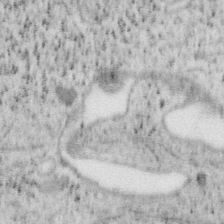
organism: Mouse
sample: OT-I killer T cells with ID8 ovarian cancer cells